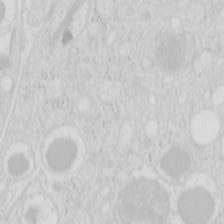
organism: Mouse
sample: Pancreas